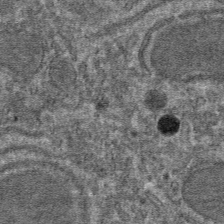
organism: Mouse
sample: Mouse hepatocytes